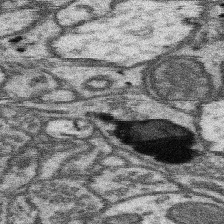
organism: Mouse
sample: Somatosensory cortex neuropil